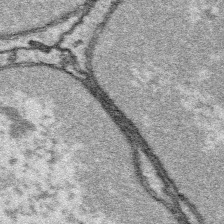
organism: Platynereis dumerilii